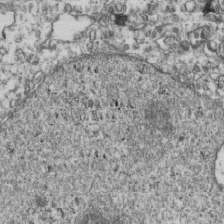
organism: Human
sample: Activated Jurkat CD4+ T cells